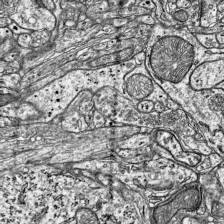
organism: Mouse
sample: Visual Cortex